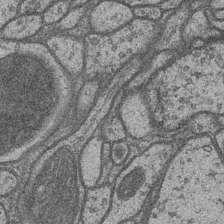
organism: Drosophila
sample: Optic medulla